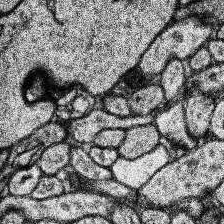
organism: Human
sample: Temporal Lobe